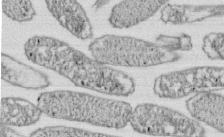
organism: E. coli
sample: Bacterial nucleoid